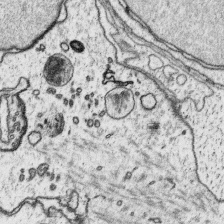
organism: Platynereis dumerilii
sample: Parapodia